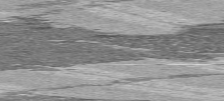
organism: C57BL Mouse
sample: Heart